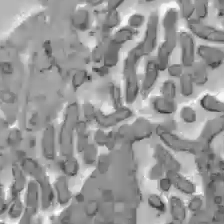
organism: C57BL Mouse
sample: Liver